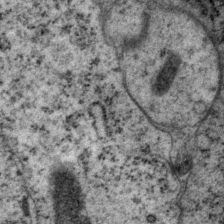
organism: P. pacificus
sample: Pharynx